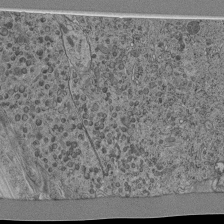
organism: C. elegans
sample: C. elegans pharynx